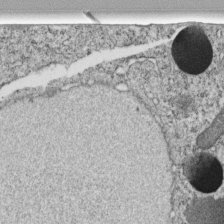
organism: C. elegans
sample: C. elegans embryo early stage